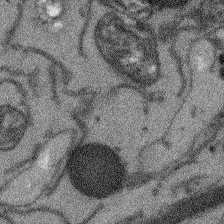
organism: Arabidopsis thaliana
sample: Root tip